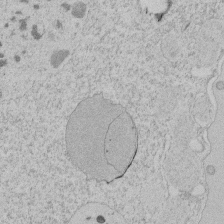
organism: Tetrahymena